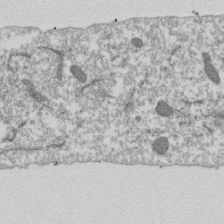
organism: Dictyostelium discoideum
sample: Dictyostelium multivesicular bodies